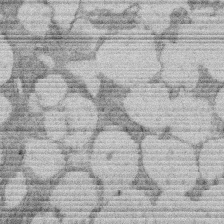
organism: Rat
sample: Salivary granule